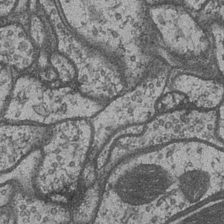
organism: Drosophila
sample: Optic medulla